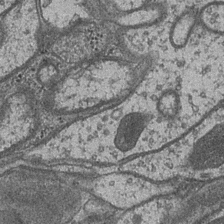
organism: Drosophila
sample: Optic medulla